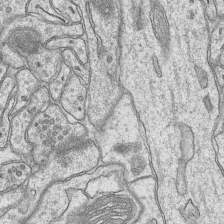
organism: Mouse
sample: CA1 Hippocampus